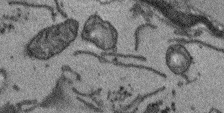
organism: Arabidopsis thaliana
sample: Root tip